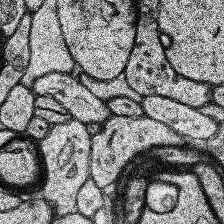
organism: Human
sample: Temporal Lobe